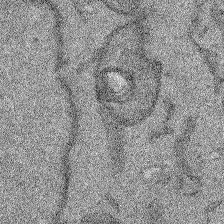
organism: Human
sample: HeLa cells